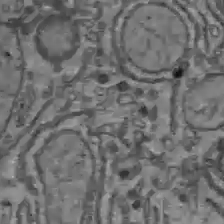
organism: C57BL Mouse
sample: Liver